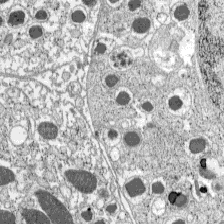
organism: C57BL Mouse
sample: Pancreatic islet